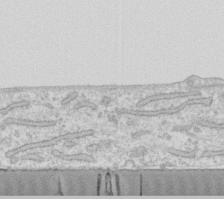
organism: Human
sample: Fibroblast cells